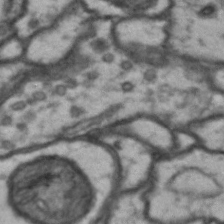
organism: Drosophila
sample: Brain